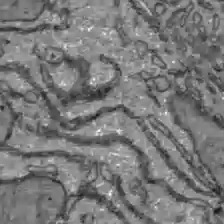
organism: C57BL Mouse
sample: Liver